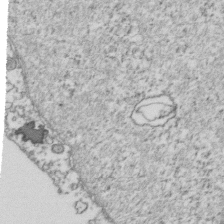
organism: Human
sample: Activated Jurkat CD4+ T cells